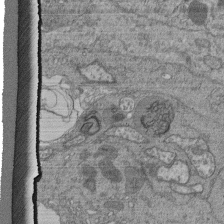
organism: Human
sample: Retinal organoid Rod and Cone cells